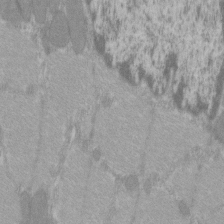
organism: C57BL Mouse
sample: Tibialis anterior muscle cell